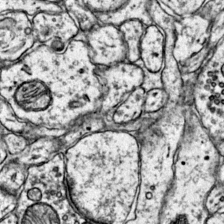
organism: Mouse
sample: Primary visual cortex